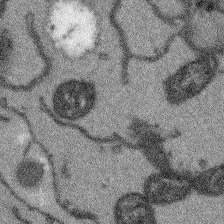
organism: Arabidopsis thaliana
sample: Root tip